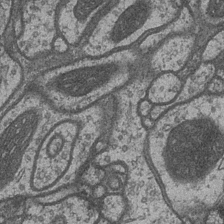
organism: Drosophila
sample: Optic medulla